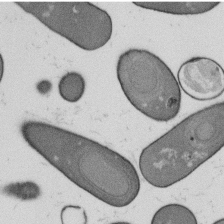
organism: B. subtilis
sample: Bacterial spore